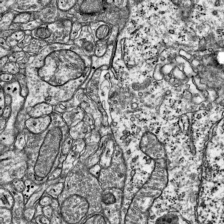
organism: Mouse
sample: Visual Cortex